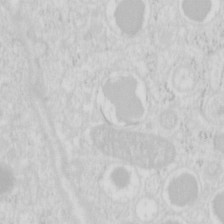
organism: Mouse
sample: Pancreas